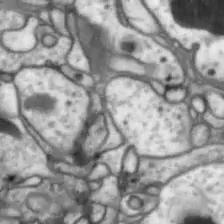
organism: Drosophila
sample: Optic lobe